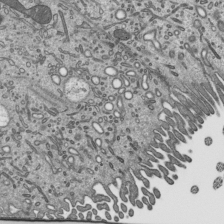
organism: Mouse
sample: Mouse epididymis efferent ductule cilia